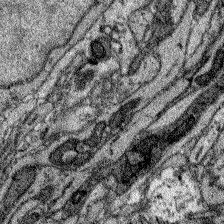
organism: Zebrafish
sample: Larval olfactory bulb